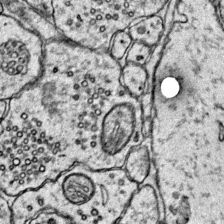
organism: Mouse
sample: Primary visual cortex